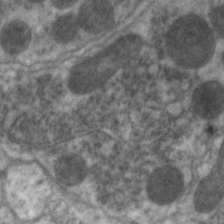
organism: C. elegans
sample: Pharynx